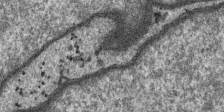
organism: Human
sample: Lung epithelial cells infected with SARS-CoV-2